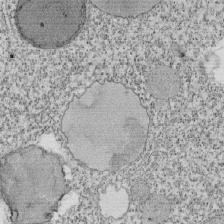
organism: Tetrahymena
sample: Cilia in tetrahymena